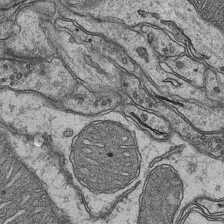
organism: Mouse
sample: CA1 Hippocampus